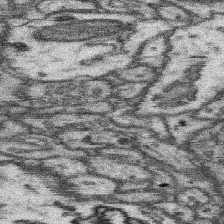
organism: Mouse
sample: Somatosensory cortex neuropil